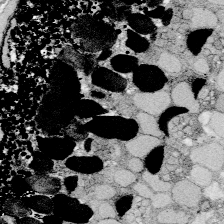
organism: Zebrafish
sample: Whole-Brain